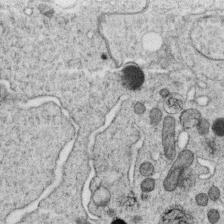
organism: C. elegans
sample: C. elegans oocyte; sperm cells